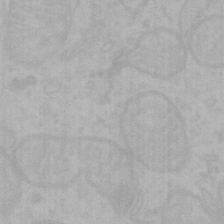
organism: Mouse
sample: Choroid plexus